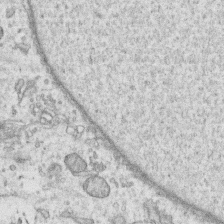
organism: Human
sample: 1205lu cells